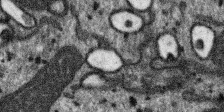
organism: Human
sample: Lung epithelial cells infected with SARS-CoV-2